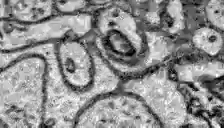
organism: Zebrafish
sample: Brain